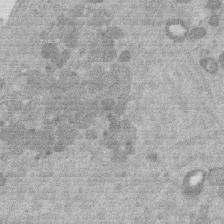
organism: Mouse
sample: Dividing mouse embryo 1 cell stage